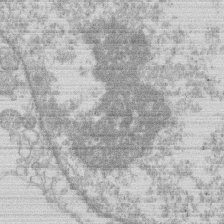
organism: Human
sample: Macrophage cells